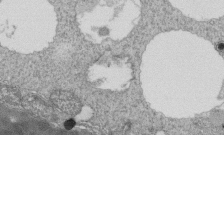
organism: Tetrahymena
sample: Cilia in tetrahymena